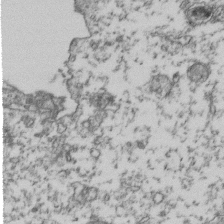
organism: Human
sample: Activated Jurkat CD4+ T cells